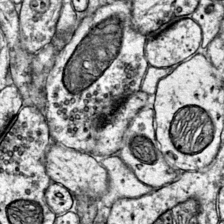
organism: Mouse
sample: Primary visual cortex